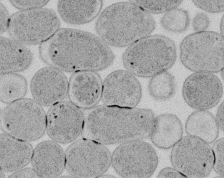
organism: E. coli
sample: Bacterial nucleoid